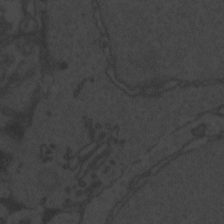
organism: Zebrafish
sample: Macrophage infected with Toxoplasma gondii